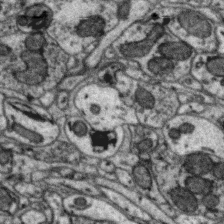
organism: Zebra finch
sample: Brain